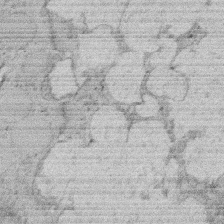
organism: Rat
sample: Salivary granule